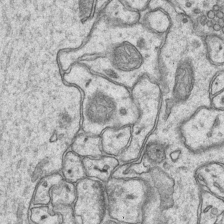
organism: Mouse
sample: CA1 Hippocampus